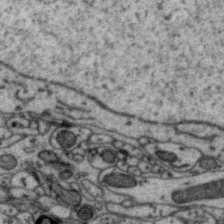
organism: Zebra finch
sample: Brain